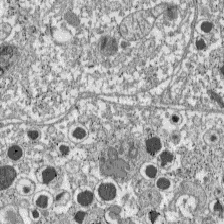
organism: C57BL Mouse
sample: Pancreatic islet